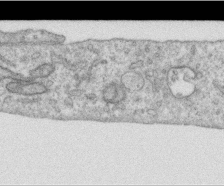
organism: Human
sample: Centriole in RPE cells